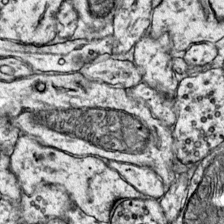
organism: Mouse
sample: Primary visual cortex